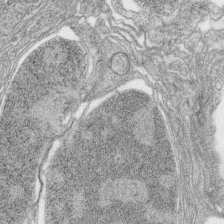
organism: Zebrafish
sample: synaptic ribbons in rod cells and cone cells